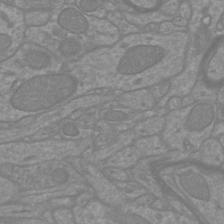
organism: Mouse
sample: Cortical neurons